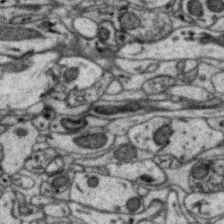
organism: Zebra finch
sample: Brain